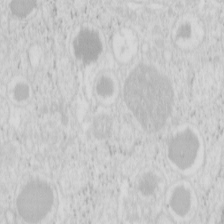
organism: Mouse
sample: Pancreas